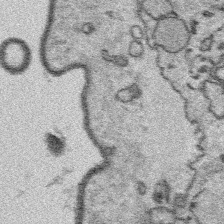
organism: Platynereis dumerilii